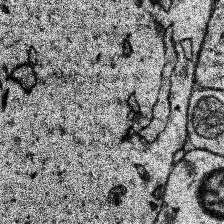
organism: Human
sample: Temporal Lobe